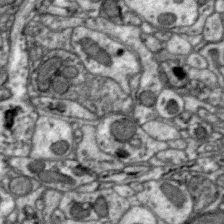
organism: Zebra finch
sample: Brain